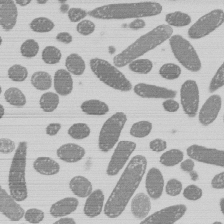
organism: E. coli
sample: Bacterial nucleoid